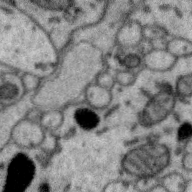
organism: Zebra finch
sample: Brain